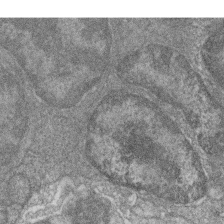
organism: Zebrafish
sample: Cilia; retinal pigment epithelium